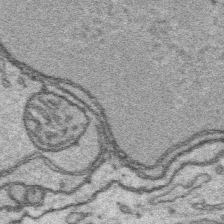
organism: Platynereis dumerilii